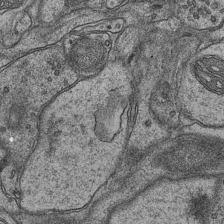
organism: Mouse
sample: CA1 Hippocampus